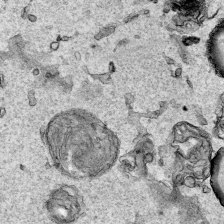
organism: Human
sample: Mitochondria in HCT116 cells